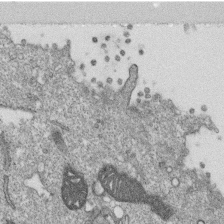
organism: African green monkey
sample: Vero E6 cells infected with SARS-CoV-2